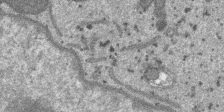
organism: Human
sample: Lung epithelial cells infected with SARS-CoV-2